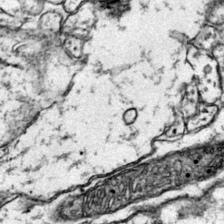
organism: Mouse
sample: Primary visual cortex